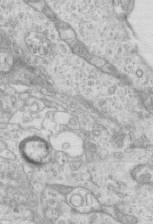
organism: Mouse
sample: Centriole in ependymal cells